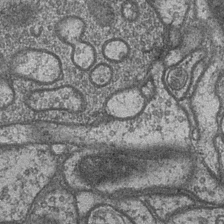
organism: Drosophila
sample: Optic medulla